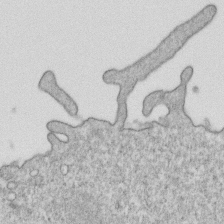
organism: Mouse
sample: Activated OT-1 CD8+ T cells